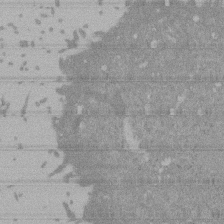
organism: Mouse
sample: ED-1 cell nuclei; centrioles